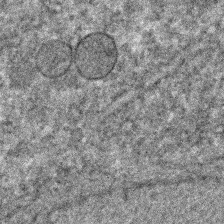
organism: C. elegans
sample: C. elegans embryo